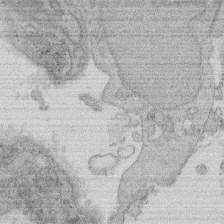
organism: Rat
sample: Salivary granule